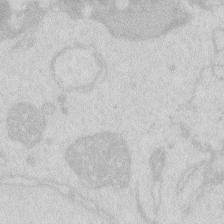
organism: Zebrafish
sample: Macrophage